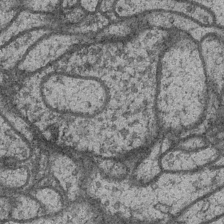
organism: Drosophila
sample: Optic medulla